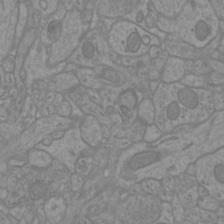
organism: Mouse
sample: Cortical neurons